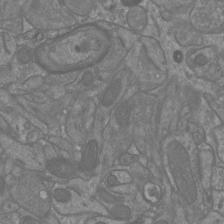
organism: Mouse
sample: Cortical neurons